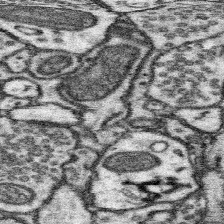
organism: Mouse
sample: Somatosensory cortex neuropil